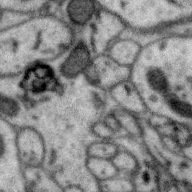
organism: Zebra finch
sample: Brain